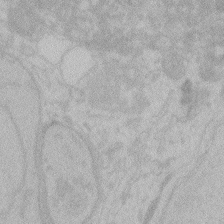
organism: Zebrafish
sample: Macrophage infected with Toxoplasma gondii